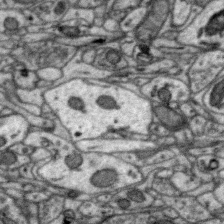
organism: Zebra finch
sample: Brain